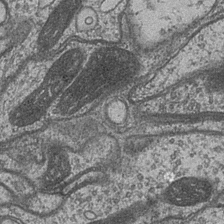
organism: Drosophila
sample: Optic medulla